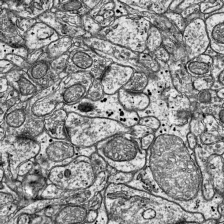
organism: Mouse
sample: Visual Cortex